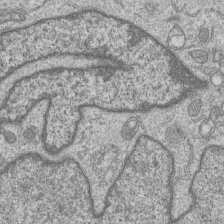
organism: Human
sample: MDA-MB-231 cells